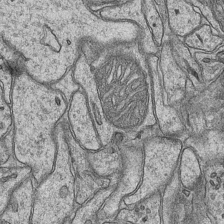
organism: Mouse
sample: CA1 Hippocampus